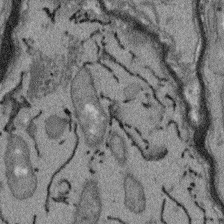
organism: Arabidopsis thaliana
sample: Root tip